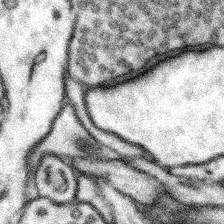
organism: Mouse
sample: Somatosensory cortex neuropil